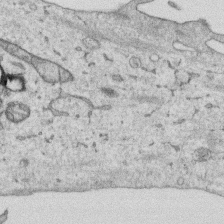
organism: Human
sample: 1205lu cells